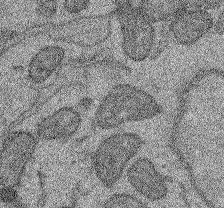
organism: Human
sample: HeLa cells